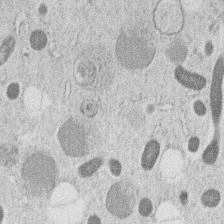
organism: C. elegans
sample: C. elegans embryo early stage